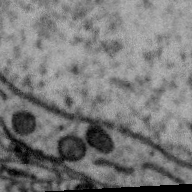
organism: Zebra finch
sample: Brain